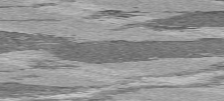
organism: C57BL Mouse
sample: Heart